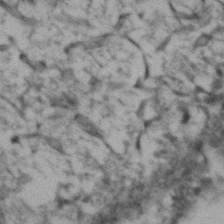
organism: Zebrafish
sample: Zebrafish embryo